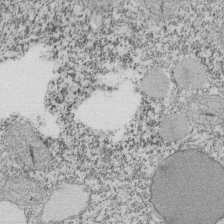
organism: Tetrahymena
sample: Cilia in tetrahymena